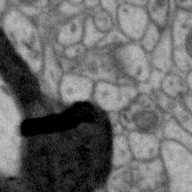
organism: Zebra finch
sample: Brain